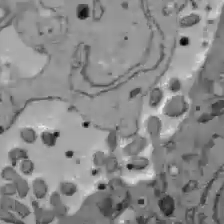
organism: C57BL Mouse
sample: Liver